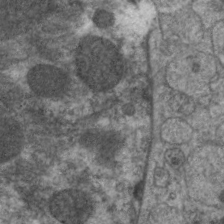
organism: C. elegans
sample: Pharynx